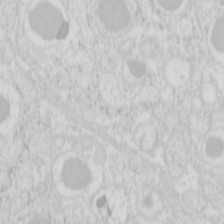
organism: Mouse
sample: Pancreas